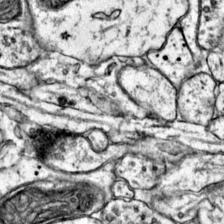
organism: Mouse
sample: Primary visual cortex